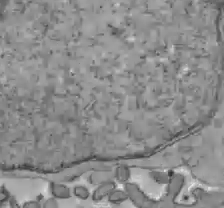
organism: C57BL Mouse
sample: Liver